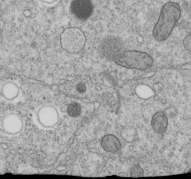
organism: C. elegans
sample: C. elegans embryo early stage